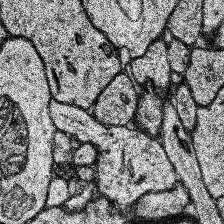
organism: Human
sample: Temporal Lobe